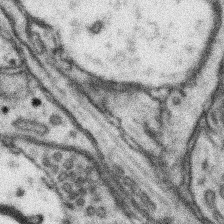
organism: Mouse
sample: Somatosensory cortex neuropil